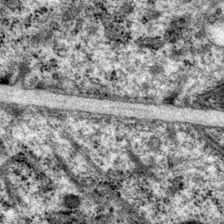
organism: P. pacificus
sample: Pharynx